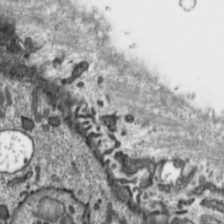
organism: Toxoplasma gondii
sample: Parasites in a vacuole inside a host cell